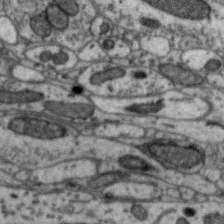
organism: Zebra finch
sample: Brain